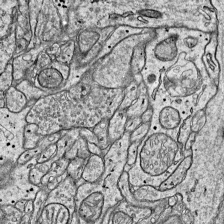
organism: Mouse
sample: Visual Cortex